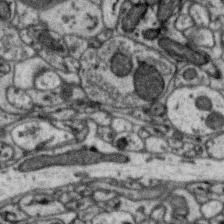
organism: Zebra finch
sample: Brain